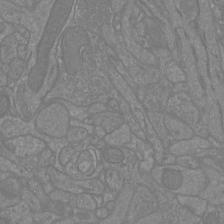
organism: Mouse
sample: Cortical neurons